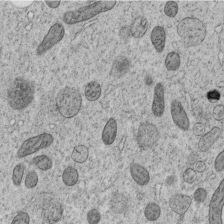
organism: C. elegans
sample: C. elegans embryo early stage